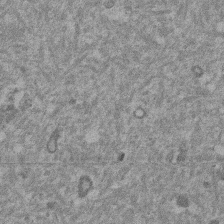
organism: Mouse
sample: Dividing mouse embryo 1 cell stage